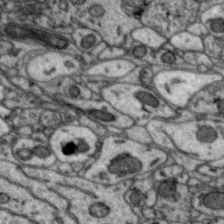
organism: Zebra finch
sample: Brain